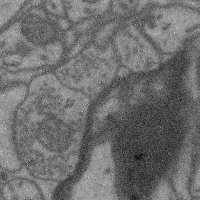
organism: Mouse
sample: Cerebral cortex